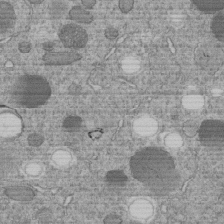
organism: C. elegans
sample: C. elegans embryo early stage